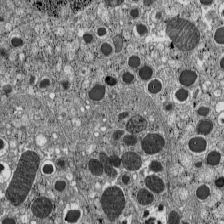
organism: C57BL Mouse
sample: Pancreatic islet